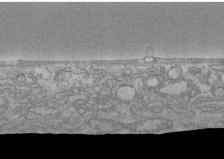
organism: Human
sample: CRL-1474